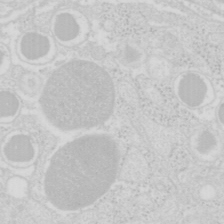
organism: Mouse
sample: Pancreas